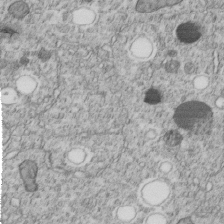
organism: C. elegans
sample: C. elegans embryo early stage